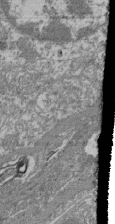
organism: Mouse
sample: Glomerulus